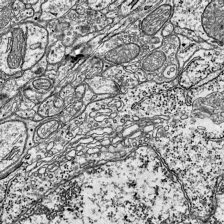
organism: Mouse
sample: Visual Cortex